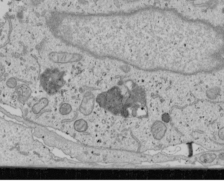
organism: Human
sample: Mitochondria in U2OS cells